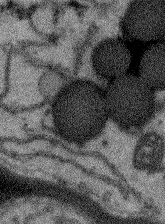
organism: Arabidopsis thaliana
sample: Root tip